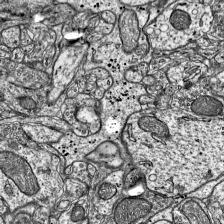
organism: Mouse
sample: Visual Cortex